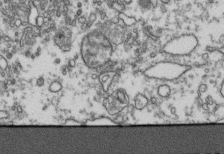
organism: Human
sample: Activated Jurkat CD4+ T cells